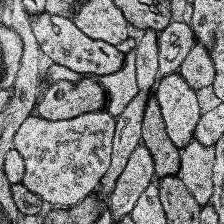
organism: Human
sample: Temporal Lobe